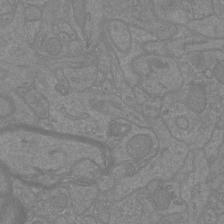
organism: Mouse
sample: Cortical neurons